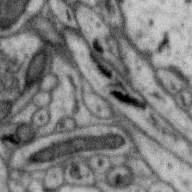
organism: Zebra finch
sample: Brain